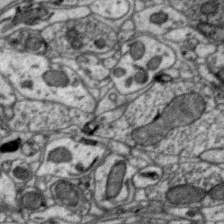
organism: Zebra finch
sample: Brain